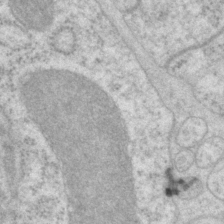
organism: P. pacificus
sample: Pharynx